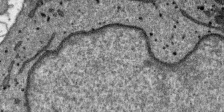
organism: Human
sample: Lung epithelial cells, uninfected (mock) control